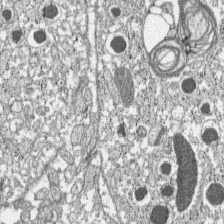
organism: C57BL Mouse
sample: Pancreatic islet